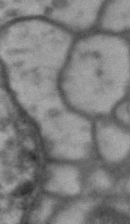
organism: Drosophila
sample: Brain